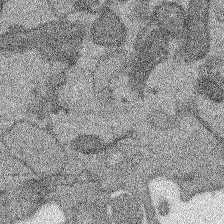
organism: Human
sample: HeLa cells